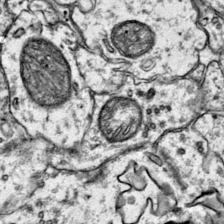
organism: Mouse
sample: Primary visual cortex